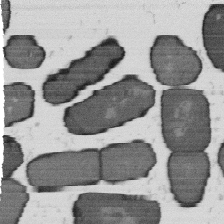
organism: B. subtilis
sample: Bacterial spore